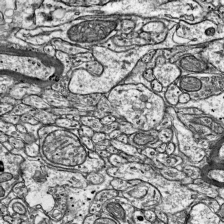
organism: Mouse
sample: Visual Cortex